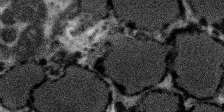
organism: Human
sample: Lung epithelial cells infected with SARS-CoV-2